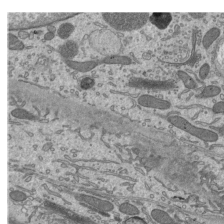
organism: Mouse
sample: Mouse epididymis efferent ductule cilia